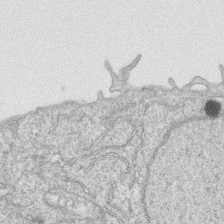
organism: Human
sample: HeLa cell HIV synapse